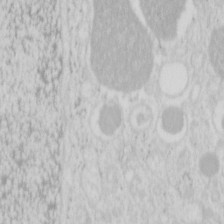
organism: Mouse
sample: Pancreas